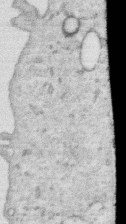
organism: Human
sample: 1205lu cells